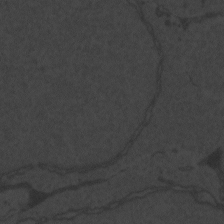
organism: Zebrafish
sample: Macrophage infected with Toxoplasma gondii